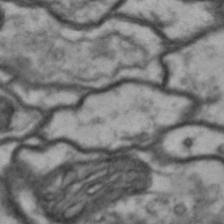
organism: Drosophila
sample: Brain